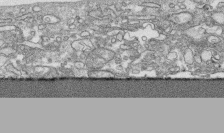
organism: Human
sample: CRL-1474